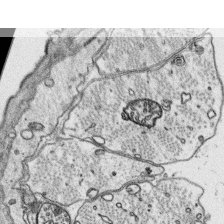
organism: Platynereis dumerilii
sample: Parapodia